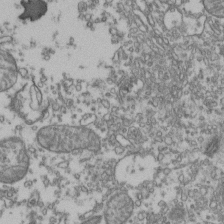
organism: Human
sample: Activated Jurkat CD4+ T cells